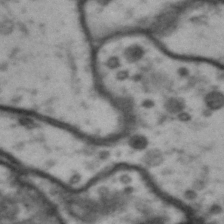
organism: Drosophila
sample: Brain